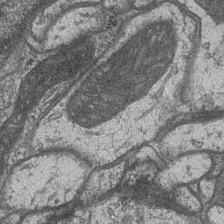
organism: Drosophila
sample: Optic medulla